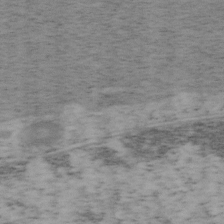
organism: Mouse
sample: OT-I killer T cells with ID8 ovarian cancer cells